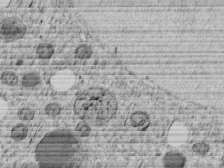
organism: C. elegans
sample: C. elegans embryo early stage